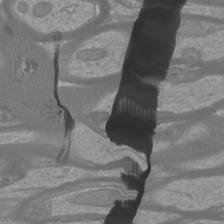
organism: Mouse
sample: Cortical neurons